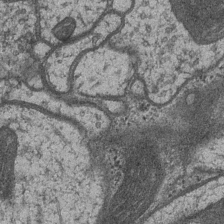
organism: Drosophila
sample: Optic medulla